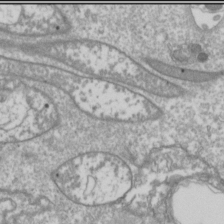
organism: Drosophila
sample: Cell division; meiosis; drosophila spermatocytes